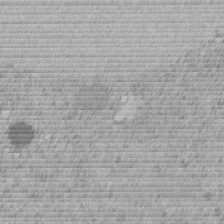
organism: C. elegans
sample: C. elegans embryo early stage